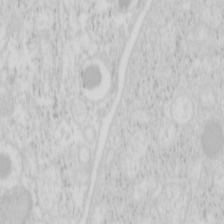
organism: Mouse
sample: Pancreas